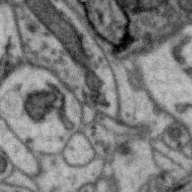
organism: Zebra finch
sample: Brain